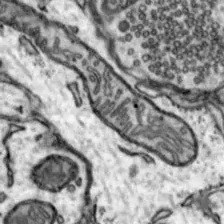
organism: Mouse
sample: Nucleus accumbens